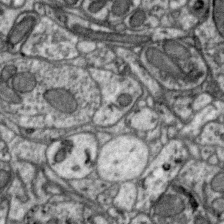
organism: Zebra finch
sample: Brain